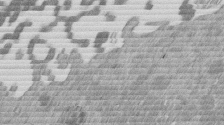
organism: Mouse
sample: Dividing mouse embryo 1 cell stage